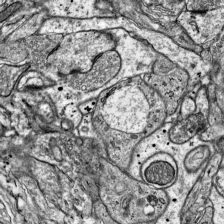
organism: Mouse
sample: Visual Cortex